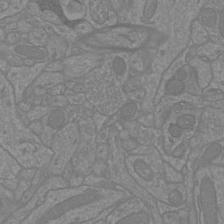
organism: Mouse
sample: Cortical neurons